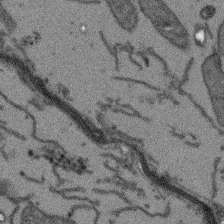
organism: Arabidopsis thaliana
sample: Root tip